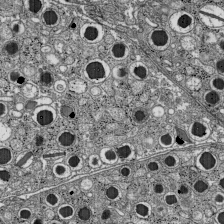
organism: C57BL Mouse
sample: Pancreatic islet